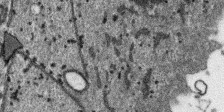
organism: Human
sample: Lung epithelial cells infected with SARS-CoV-2